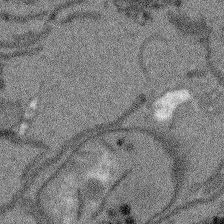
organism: Arabidopsis thaliana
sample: Root tip